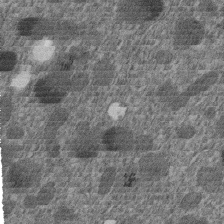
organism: C. elegans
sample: C. elegans embryo early stage